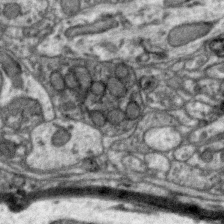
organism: Zebra finch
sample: Brain